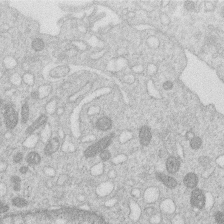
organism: Human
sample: Macrophage cells